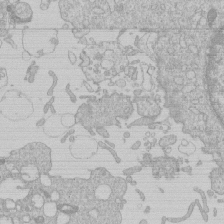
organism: Human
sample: Macrophage cells